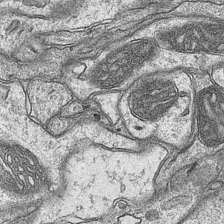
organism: Mouse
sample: CA1 Hippocampus